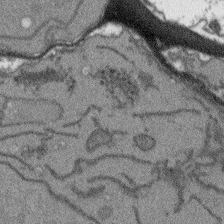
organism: Arabidopsis thaliana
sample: Root tip